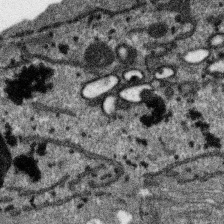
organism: Human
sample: Lung epithelial cells infected with SARS-CoV-2